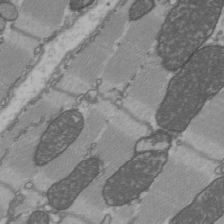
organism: C57BL Mouse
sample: Heart